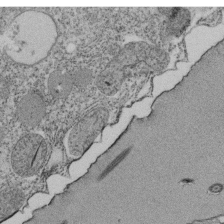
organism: Tetrahymena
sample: Cilia in tetrahymena